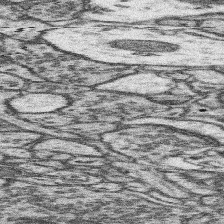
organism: Mouse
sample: Somatosensory cortex neuropil